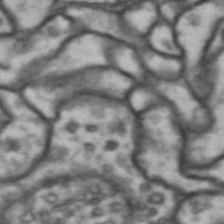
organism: Drosophila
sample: Brain